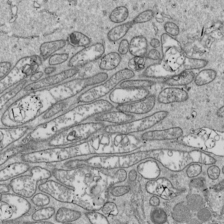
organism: Drosophila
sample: Cell division; meiosis; drosophila spermatocytes